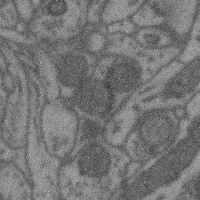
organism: Mouse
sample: Cerebral cortex